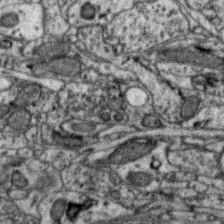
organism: Zebra finch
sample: Brain